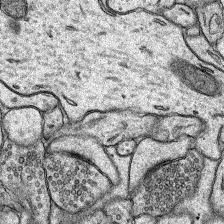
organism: Rat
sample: Hippocampus